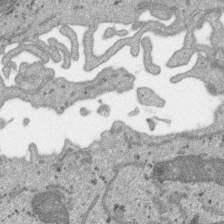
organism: Human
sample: Lung epithelial cells infected with SARS-CoV-2